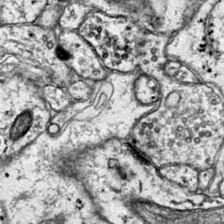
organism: Mouse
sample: Primary visual cortex